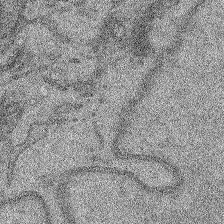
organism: Human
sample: HeLa cells